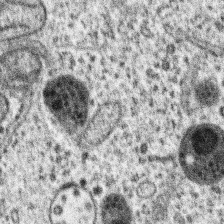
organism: Human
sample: HeLa cells